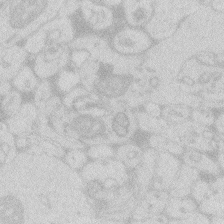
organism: Zebrafish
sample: Macrophage